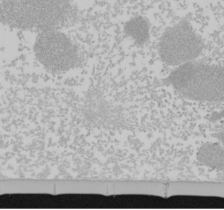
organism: Mouse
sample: Cancer cell death in ED-1 cells